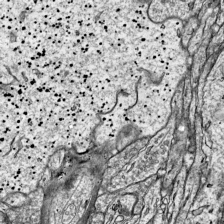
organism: Mouse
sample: Visual Cortex